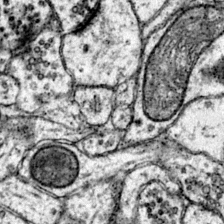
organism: Mouse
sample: Primary visual cortex